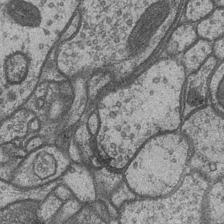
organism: Drosophila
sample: Optic medulla